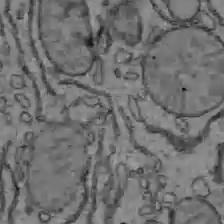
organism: C57BL Mouse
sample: Liver